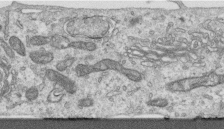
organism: Human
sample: Centriole in RPE cells